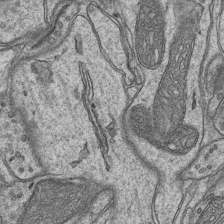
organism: Mouse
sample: CA1 Hippocampus